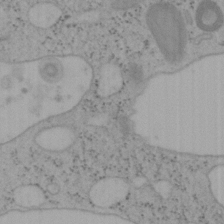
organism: Mouse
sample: OT-I killer T cells with ID8 ovarian cancer cells